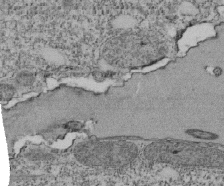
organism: Tetrahymena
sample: Cilia in tetrahymena